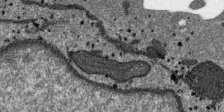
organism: Human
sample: Lung epithelial cells, uninfected (mock) control